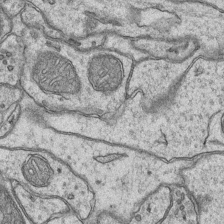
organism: Mouse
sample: CA1 Hippocampus